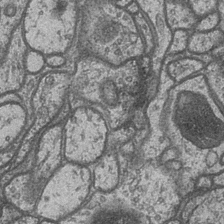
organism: Drosophila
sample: Optic medulla